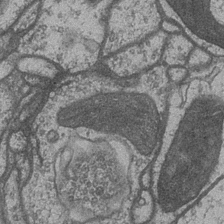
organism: Drosophila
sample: Optic medulla